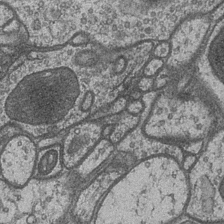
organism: Drosophila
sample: Optic medulla